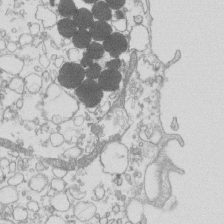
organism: Mouse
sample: Macrophages